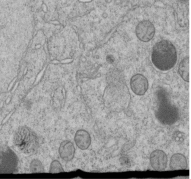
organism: C. elegans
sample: C. elegans embryo early stage